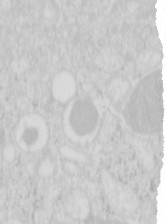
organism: Mouse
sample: Pancreas